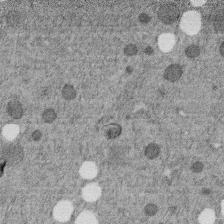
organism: C. elegans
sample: C. elegans embryo early stage